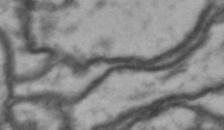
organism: Drosophila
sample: Brain